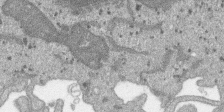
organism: Human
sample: Lung epithelial cells infected with SARS-CoV-2